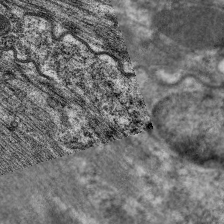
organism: C. elegans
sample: Pharynx